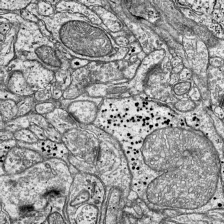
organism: Mouse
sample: Visual Cortex